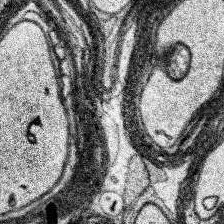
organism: Human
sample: Temporal Lobe